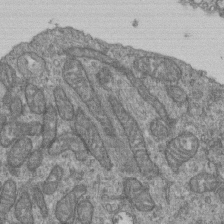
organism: Human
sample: Retinal organoid Rod and Cone cells